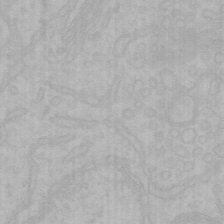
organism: Mouse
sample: Choroid plexus